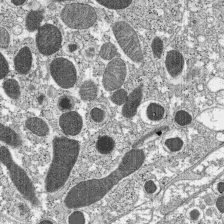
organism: C57BL Mouse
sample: Pancreatic islet